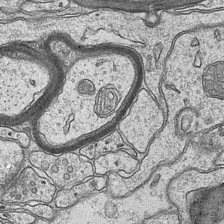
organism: Mouse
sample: CA1 Hippocampus